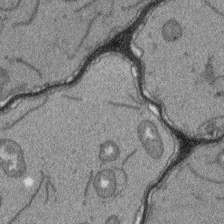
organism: Arabidopsis thaliana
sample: Root tip